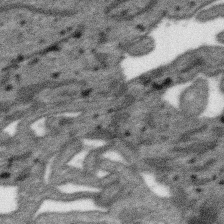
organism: Human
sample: Lung epithelial cells infected with SARS-CoV-2